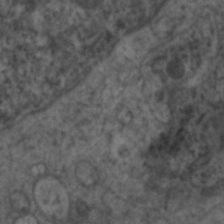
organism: C. elegans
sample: Pharynx